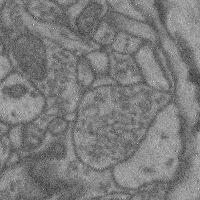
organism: Mouse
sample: Cerebral cortex